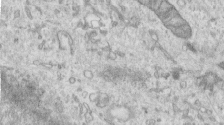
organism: Human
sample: Centriole in RPE cells